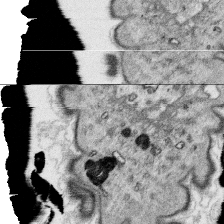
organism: Platynereis dumerilii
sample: Parapodia